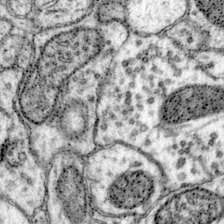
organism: Mouse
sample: Primary visual cortex